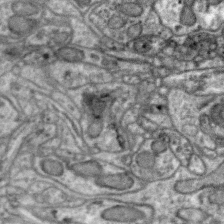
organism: Zebra finch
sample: Brain